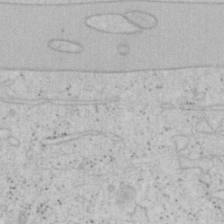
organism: Human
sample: HeLa cells